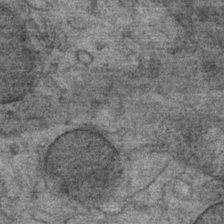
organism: Mouse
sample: Mouse Salivary gland